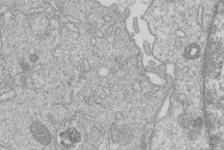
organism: Human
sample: Macrophage cells